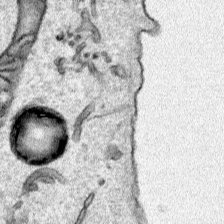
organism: Human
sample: Mitochondria in HCT116 cells